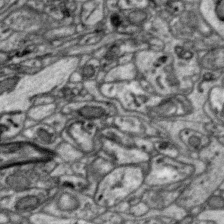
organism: Zebra finch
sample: Brain